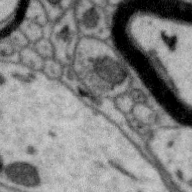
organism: Zebra finch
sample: Brain